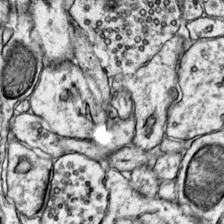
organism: Mouse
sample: Primary visual cortex